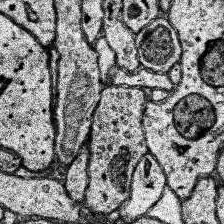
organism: Human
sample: Temporal Lobe